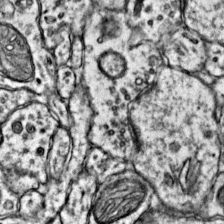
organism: Mouse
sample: Primary visual cortex